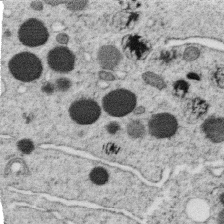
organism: C. elegans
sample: C. elegans oocyte; sperm cells